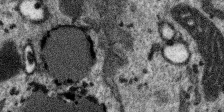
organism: Human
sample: Lung epithelial cells infected with SARS-CoV-2